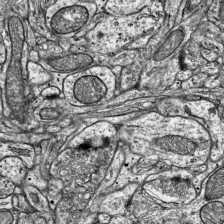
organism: Mouse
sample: Visual Cortex